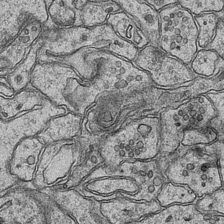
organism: Mouse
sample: CA1 Hippocampus